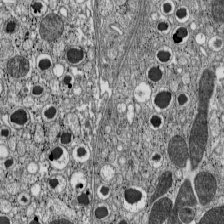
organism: C57BL Mouse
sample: Pancreatic islet